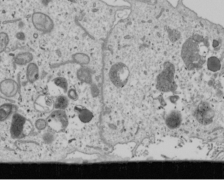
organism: Human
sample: Mitochondria in U2OS cells